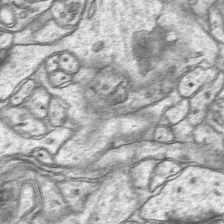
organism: Mouse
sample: CA1 Hippocampus